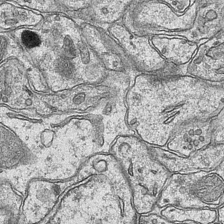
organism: Mouse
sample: CA1 Hippocampus